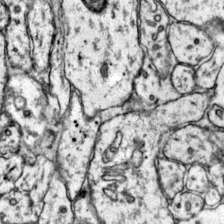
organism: Mouse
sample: Primary visual cortex